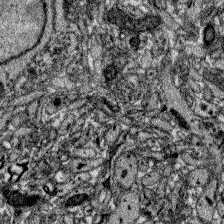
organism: Zebrafish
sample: Larval olfactory bulb